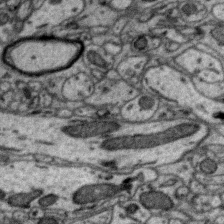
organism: Zebra finch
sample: Brain